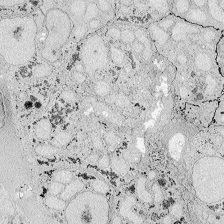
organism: Zebrafish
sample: Whole-Brain